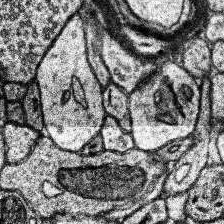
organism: Human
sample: Temporal Lobe